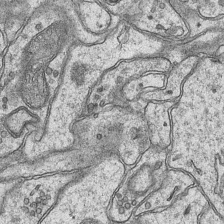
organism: Mouse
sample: CA1 Hippocampus